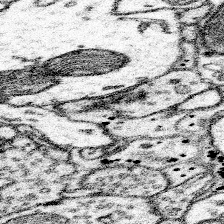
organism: Mouse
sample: Somatosensory cortex neuropil